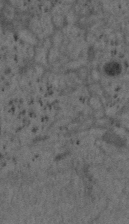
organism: Human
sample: HeLa cells